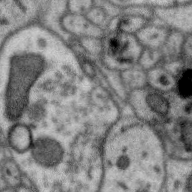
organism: Zebra finch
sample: Brain